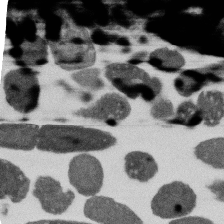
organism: E. coli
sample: Bacterial nucleoid